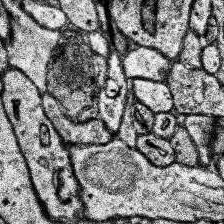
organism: Human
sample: Temporal Lobe